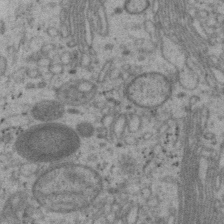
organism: Human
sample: HeLa cells